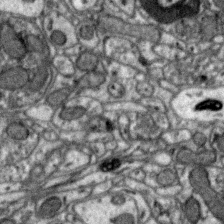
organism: Zebra finch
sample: Brain